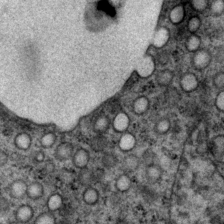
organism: P. pacificus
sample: Pharynx